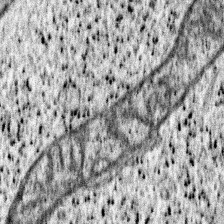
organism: Human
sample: HeLa cells